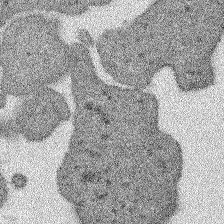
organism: Human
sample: HeLa cells